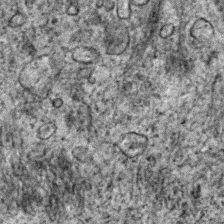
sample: Trachea